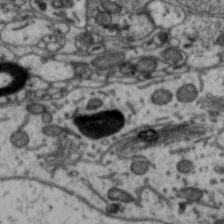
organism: Zebra finch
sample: Brain